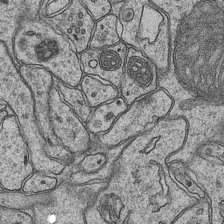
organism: Mouse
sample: CA1 Hippocampus